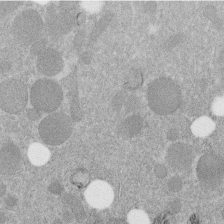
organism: C. elegans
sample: C. elegans embryo early stage